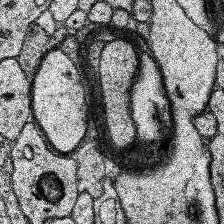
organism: Human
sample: Temporal Lobe